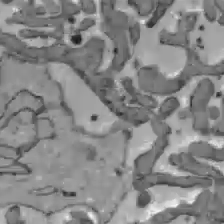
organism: C57BL Mouse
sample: Liver